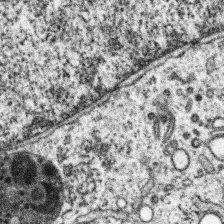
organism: Human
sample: HeLa cells